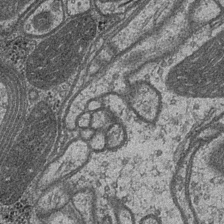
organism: Drosophila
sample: Optic medulla